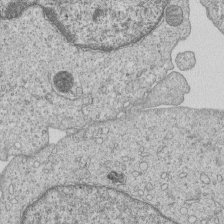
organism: Human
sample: MDA-MB-231 cells